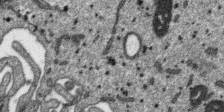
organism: Human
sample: Lung epithelial cells infected with SARS-CoV-2